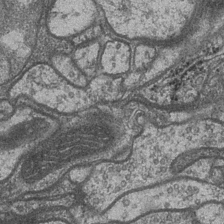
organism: Drosophila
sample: Optic medulla